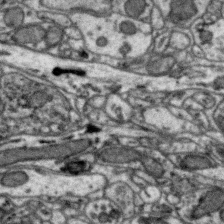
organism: Zebra finch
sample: Brain